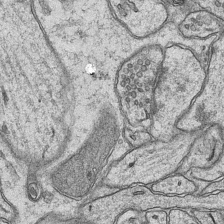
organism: Mouse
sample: CA1 Hippocampus